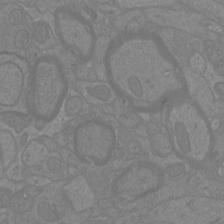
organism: Mouse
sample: Cortical neurons